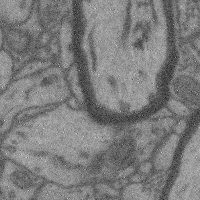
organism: Mouse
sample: Cerebral cortex